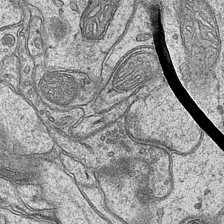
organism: Mouse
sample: CA1 Hippocampus